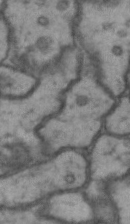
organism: Drosophila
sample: Brain